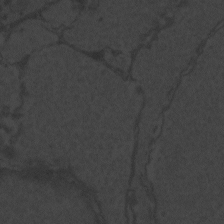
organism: Zebrafish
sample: Macrophage infected with Toxoplasma gondii